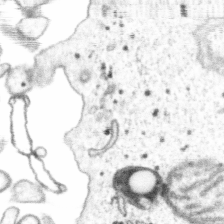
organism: Human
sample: HeLa cells